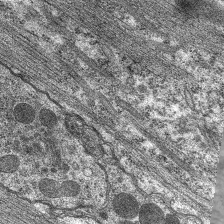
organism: C. elegans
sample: Pharynx